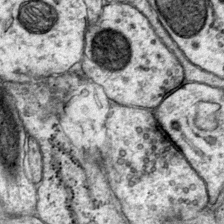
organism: Mouse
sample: Primary visual cortex